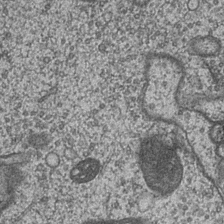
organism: Drosophila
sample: Optic medulla